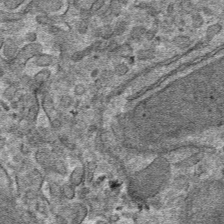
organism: Mouse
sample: Mouse hepatocytes